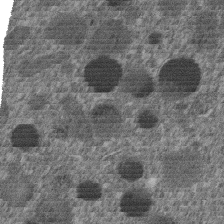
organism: C. elegans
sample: C. elegans embryo early stage